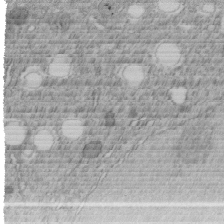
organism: C. elegans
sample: C. elegans embryo early stage